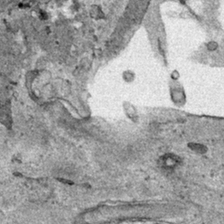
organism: Human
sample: Mitochondria in HCT116 cells